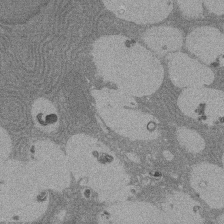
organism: Rat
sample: Salivary granule